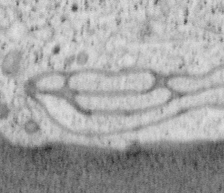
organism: Mouse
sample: OT-I killer T cells with ID8 ovarian cancer cells